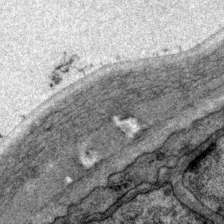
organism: P. pacificus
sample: Pharynx